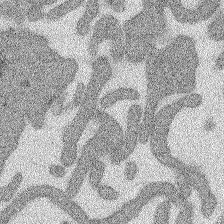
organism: Human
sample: HeLa cells